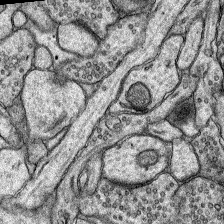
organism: Rat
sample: Hippocampus